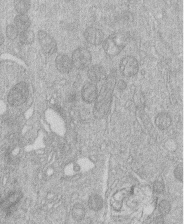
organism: Human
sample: Macrophage cells